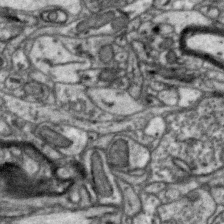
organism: Zebra finch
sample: Brain